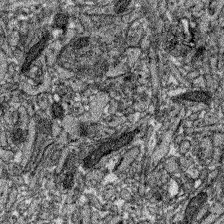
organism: Zebrafish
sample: Larval olfactory bulb